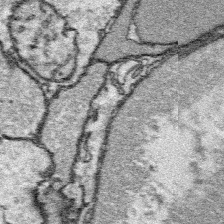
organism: Platynereis dumerilii